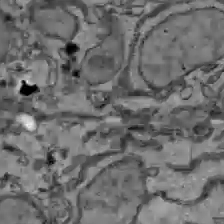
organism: C57BL Mouse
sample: Liver